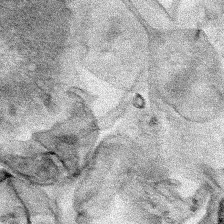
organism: Human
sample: Mitochondria in HCT116 cells